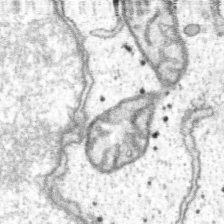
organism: Human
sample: HeLa cells